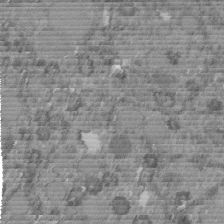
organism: C. elegans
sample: C. elegans embryo early stage